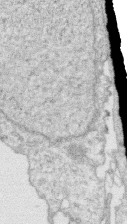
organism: Human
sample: HeLa cell HIV synapse